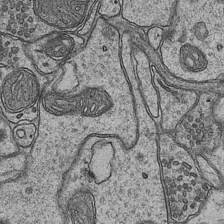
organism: Mouse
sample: CA1 Hippocampus